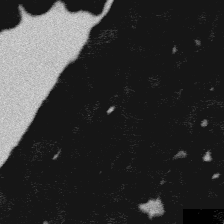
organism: Platynereis dumerilii